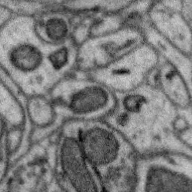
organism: Zebra finch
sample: Brain